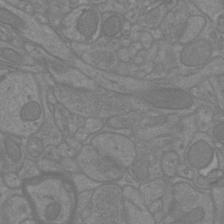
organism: Mouse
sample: Cortical neurons